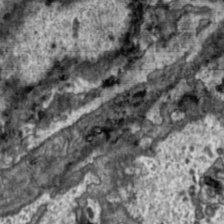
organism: Toxoplasma gondii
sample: Parasites in a vacuole inside a host cell